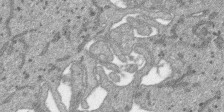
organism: Human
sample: Lung epithelial cells infected with SARS-CoV-2